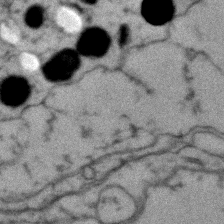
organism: Zebrafish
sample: Zebrafish embryo